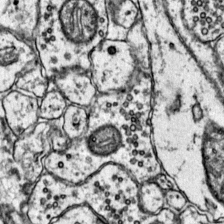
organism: Mouse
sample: Primary visual cortex